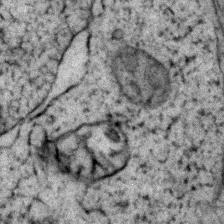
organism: Zebrafish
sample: Zebrafish embryo